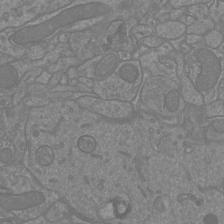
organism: Mouse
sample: Cortical neurons